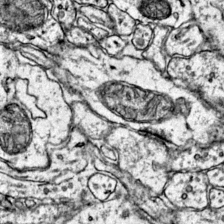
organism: Mouse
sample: Primary visual cortex